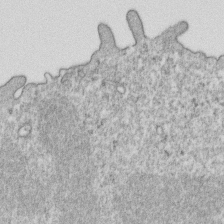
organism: Mouse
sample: Activated OT-1 CD8+ T cells